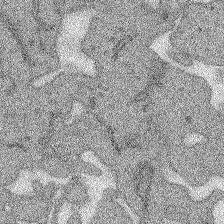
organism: Human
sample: HeLa cells